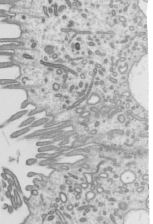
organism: Mouse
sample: Mouse epididymis efferent ductule cilia